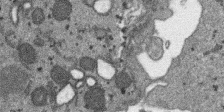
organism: Human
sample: Lung epithelial cells infected with SARS-CoV-2